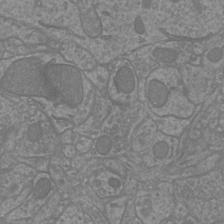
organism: Mouse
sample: Cortical neurons